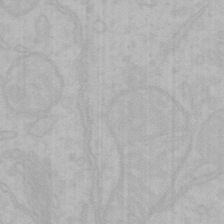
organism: Mouse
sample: Choroid plexus